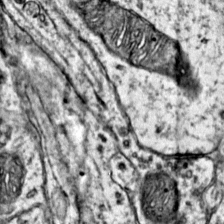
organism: Mouse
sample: Primary visual cortex